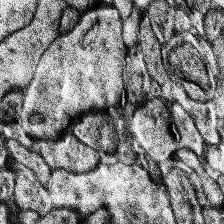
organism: Human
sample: Temporal Lobe